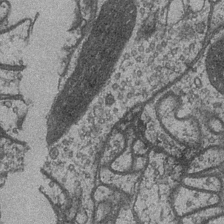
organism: Drosophila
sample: Optic medulla